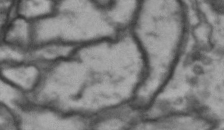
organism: Drosophila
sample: Brain